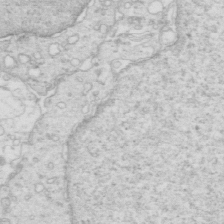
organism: Mouse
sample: Multiciliated cells